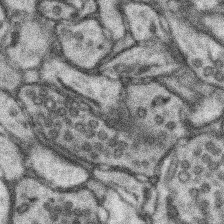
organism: Mouse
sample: Somatosensory cortex neuropil